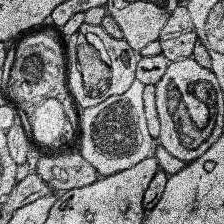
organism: Human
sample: Temporal Lobe